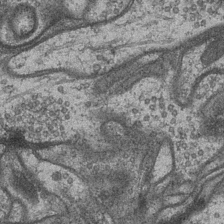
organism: Drosophila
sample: Optic medulla